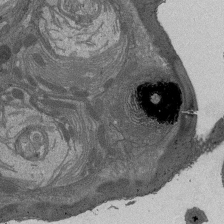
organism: Drosophila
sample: Antenna